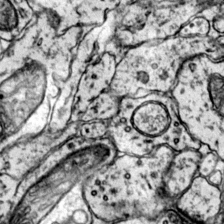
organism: Mouse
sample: Primary visual cortex